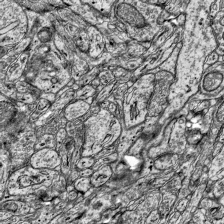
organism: Mouse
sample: Visual Cortex